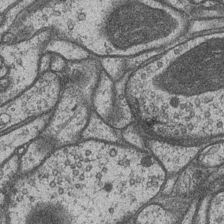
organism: Drosophila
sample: Optic medulla